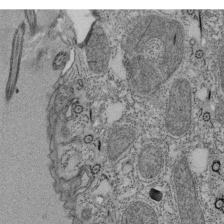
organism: Tetrahymena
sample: Cilia in tetrahymena